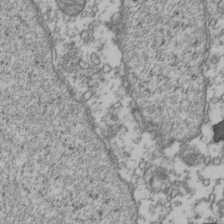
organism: Human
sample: Activated Jurkat CD4+ T cells